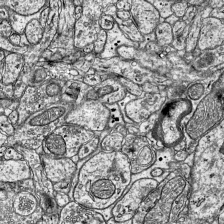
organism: Mouse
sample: Visual Cortex